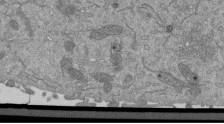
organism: Mouse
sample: ED-1 cell nuclei; centrioles